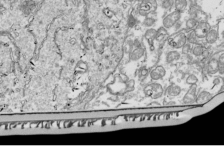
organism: Drosophila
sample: Cell division; meiosis; drosophila spermatocytes